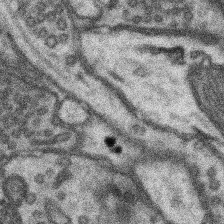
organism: Mouse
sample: Somatosensory cortex neuropil